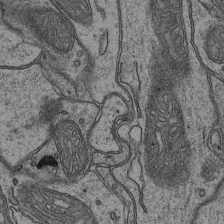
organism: Mouse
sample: CA1 Hippocampus